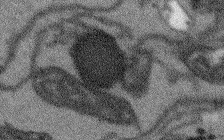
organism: Arabidopsis thaliana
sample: Root tip